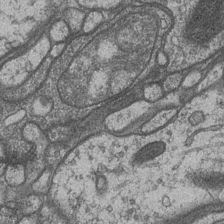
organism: Drosophila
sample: Optic medulla